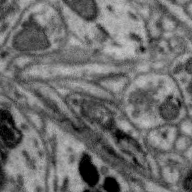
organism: Zebra finch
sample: Brain